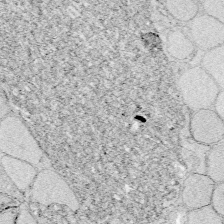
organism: Zebrafish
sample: Whole-Brain